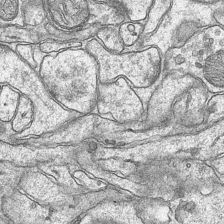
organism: Mouse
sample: CA1 Hippocampus